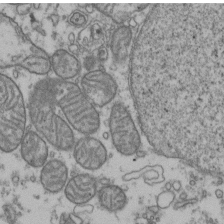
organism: Human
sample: Activated Jurkat CD4+ T cells